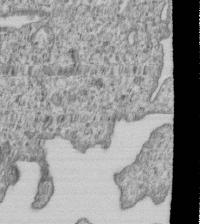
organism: Human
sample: MDA-MB-231 cells